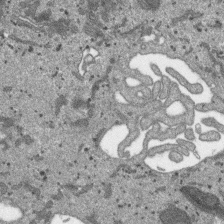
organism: Human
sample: Lung epithelial cells infected with SARS-CoV-2